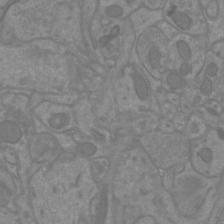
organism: Mouse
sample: Cortical neurons